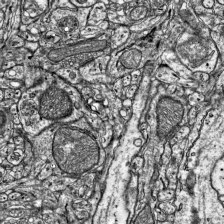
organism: Mouse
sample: Visual Cortex